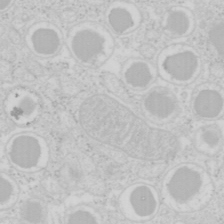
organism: Mouse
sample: Pancreas